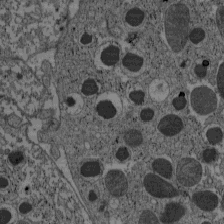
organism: C57BL Mouse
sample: Pancreatic islet